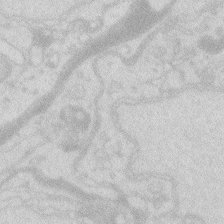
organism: Zebrafish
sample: Macrophage